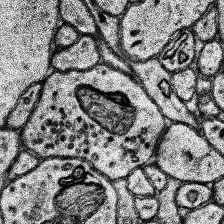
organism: Human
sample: Temporal Lobe